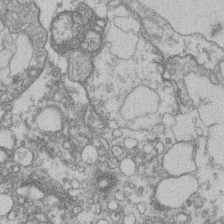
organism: Mouse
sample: T cell stromal cell synapse